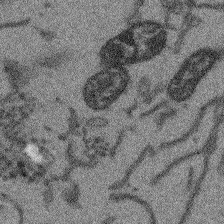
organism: Arabidopsis thaliana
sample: Root tip